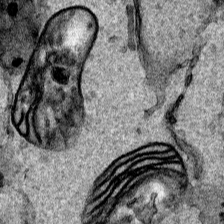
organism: Human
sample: Mitochondria in HCT116 cells